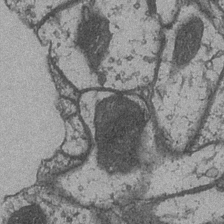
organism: Drosophila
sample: Optic medulla